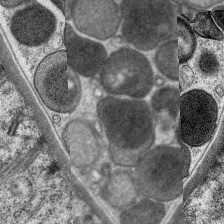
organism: C. elegans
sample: Pharynx